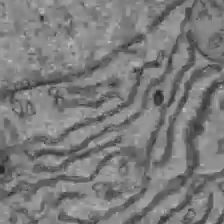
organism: C57BL Mouse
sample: Liver